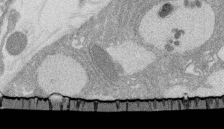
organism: Rat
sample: Salivary granule